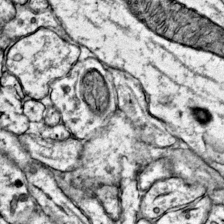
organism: Mouse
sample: Primary visual cortex